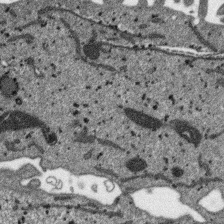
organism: Human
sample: Lung epithelial cells infected with SARS-CoV-2